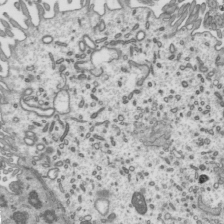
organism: Mouse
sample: Mouse epididymis efferent ductule cilia